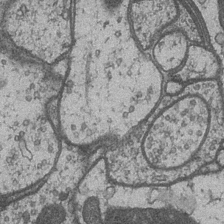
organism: Drosophila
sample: Optic medulla